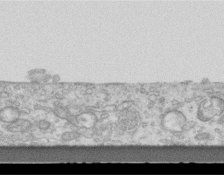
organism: Mouse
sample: Centriole in ependymal cells